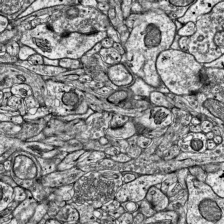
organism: Mouse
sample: Visual Cortex